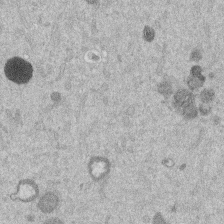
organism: Mouse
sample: Dividing mouse embryo 1 cell stage